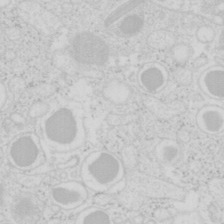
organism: Mouse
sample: Pancreas